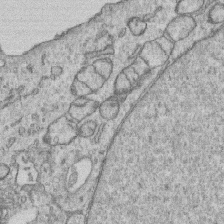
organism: Human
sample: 1205lu cells